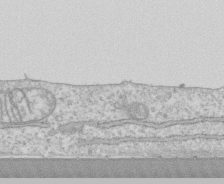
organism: Human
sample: CRL-1474